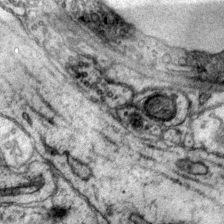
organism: Mouse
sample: Primary visual cortex